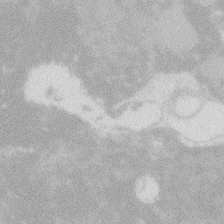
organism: Zebrafish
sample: Macrophage